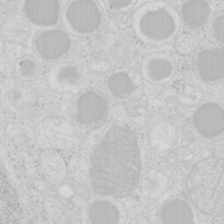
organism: Mouse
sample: Pancreas